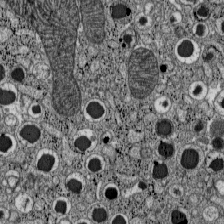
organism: C57BL Mouse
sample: Pancreatic islet